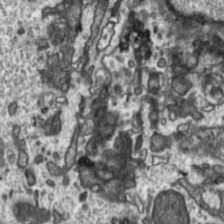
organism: Toxoplasma gondii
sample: Parasites in a vacuole inside a host cell